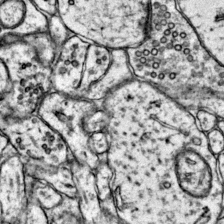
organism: Mouse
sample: Primary visual cortex